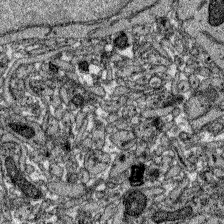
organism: Zebrafish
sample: Larval olfactory bulb